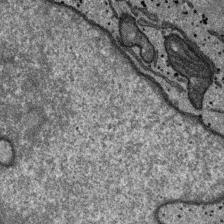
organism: Human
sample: Lung epithelial cells, uninfected (mock) control